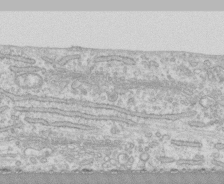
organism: Human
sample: CRL-1474